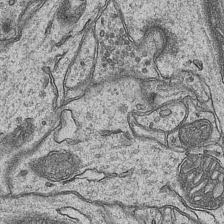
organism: Mouse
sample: CA1 Hippocampus